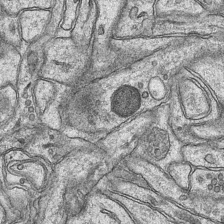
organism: Mouse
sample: CA1 Hippocampus